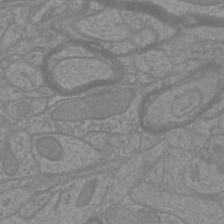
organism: Mouse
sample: Cortical neurons